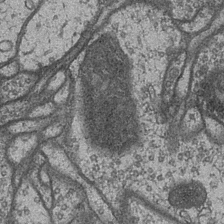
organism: Drosophila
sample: Optic medulla